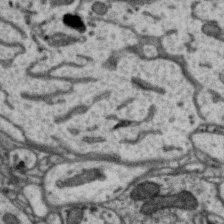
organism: Zebra finch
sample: Brain